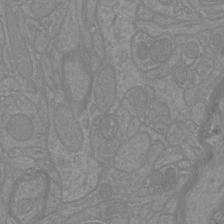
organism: Mouse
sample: Cortical neurons